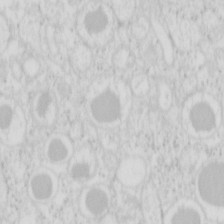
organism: Mouse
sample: Pancreas